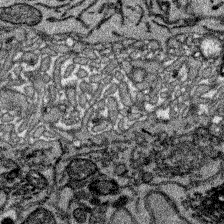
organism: Zebrafish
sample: Larval olfactory bulb